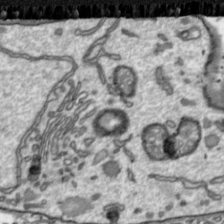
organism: Toxoplasma gondii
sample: Parasites in a vacuole inside a host cell